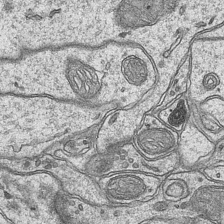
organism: Mouse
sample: CA1 Hippocampus